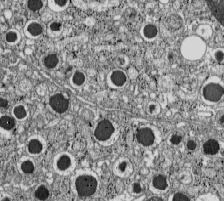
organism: C57BL Mouse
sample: Pancreatic islet